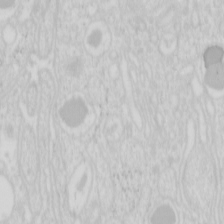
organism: Mouse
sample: Pancreas